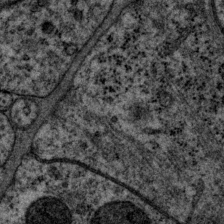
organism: P. pacificus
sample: Pharynx